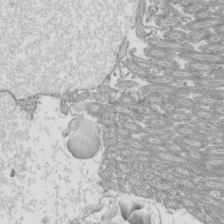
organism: Mouse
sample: Cilia; mouse epididymis